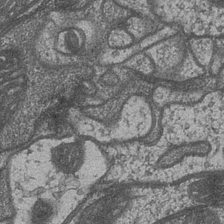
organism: Drosophila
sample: Optic medulla